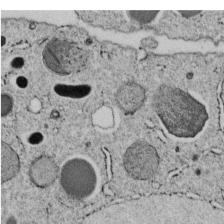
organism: C. elegans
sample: C. elegans embryo early stage